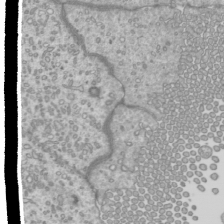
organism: Mouse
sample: Cilia; mouse epididymis